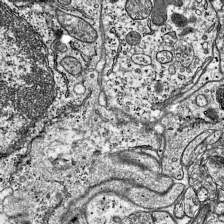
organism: Mouse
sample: Visual Cortex